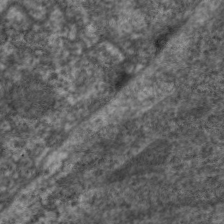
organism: C. elegans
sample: Pharynx